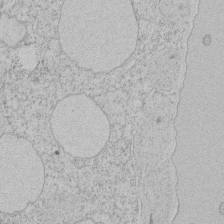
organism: Tetrahymena